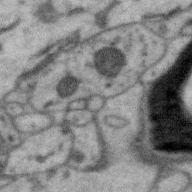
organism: Zebra finch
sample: Brain